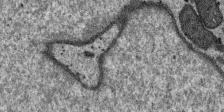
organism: Human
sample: Lung epithelial cells, uninfected (mock) control